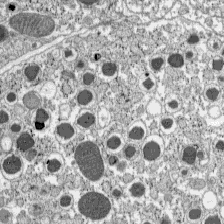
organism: C57BL Mouse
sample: Pancreatic islet